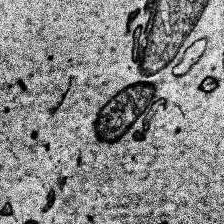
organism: Human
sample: Temporal Lobe